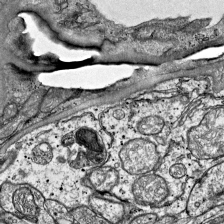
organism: Mouse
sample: Visual Cortex